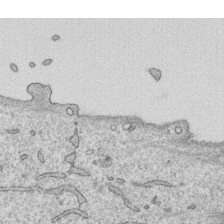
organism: Human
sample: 1205lu cells